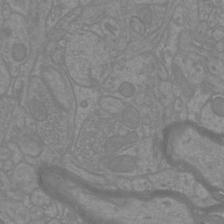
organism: Mouse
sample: Cortical neurons